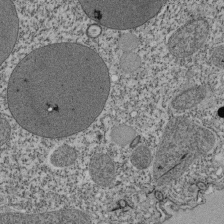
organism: Tetrahymena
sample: Cilia in tetrahymena